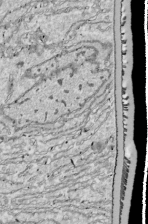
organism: Drosophila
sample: Cell division; meiosis; drosophila spermatocytes